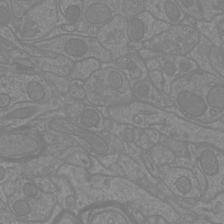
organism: Mouse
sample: Cortical neurons